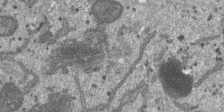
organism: Human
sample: Lung epithelial cells infected with SARS-CoV-2